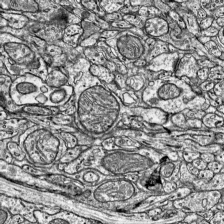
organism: Mouse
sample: Visual Cortex